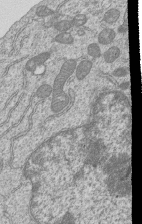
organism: Human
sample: MDA-MB-231 cells